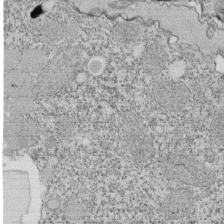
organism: Tetrahymena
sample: Cilia in tetrahymena